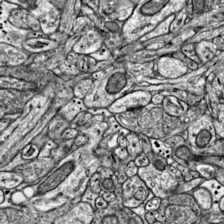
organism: Mouse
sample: Visual Cortex